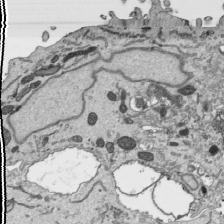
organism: Human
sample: Mitochondria in HCT116 cells